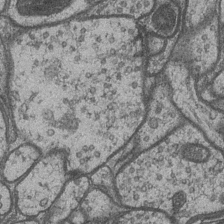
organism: Drosophila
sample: Optic medulla